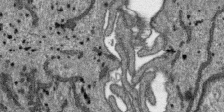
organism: Human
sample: Lung epithelial cells, uninfected (mock) control